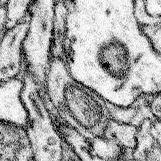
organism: Mouse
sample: Somatosensory cortex neuropil